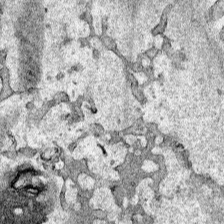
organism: Human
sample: Mitochondria in HCT116 cells